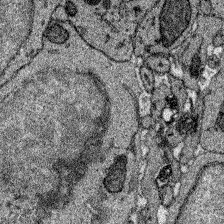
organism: Zebrafish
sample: Larval olfactory bulb